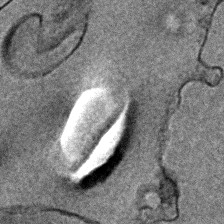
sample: Trachea